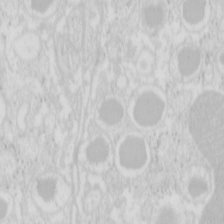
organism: Mouse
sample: Pancreas